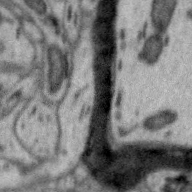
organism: Zebra finch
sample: Brain